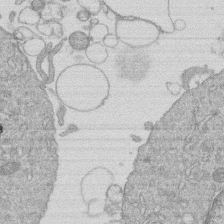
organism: Human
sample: Macrophage cells